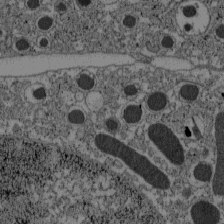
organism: C57BL Mouse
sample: Pancreatic islet